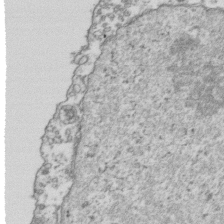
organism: Human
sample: Activated Jurkat CD4+ T cells